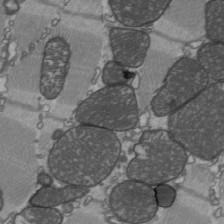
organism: C57BL Mouse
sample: Heart